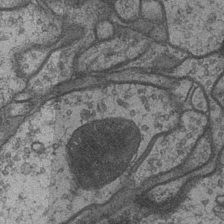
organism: Drosophila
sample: Optic medulla